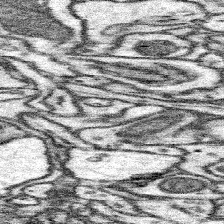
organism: Mouse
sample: Somatosensory cortex neuropil